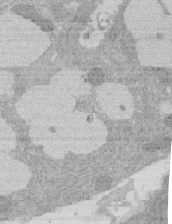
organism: Rat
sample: Salivary granule